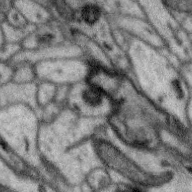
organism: Zebra finch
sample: Brain